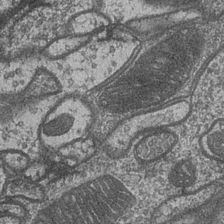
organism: Drosophila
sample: Optic medulla